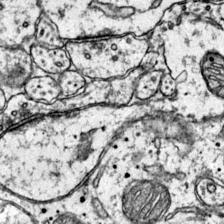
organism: Mouse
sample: Primary visual cortex